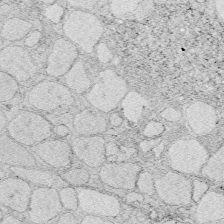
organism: Zebrafish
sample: Whole-Brain